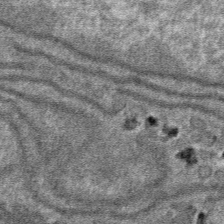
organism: Mouse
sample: Mouse hepatocytes